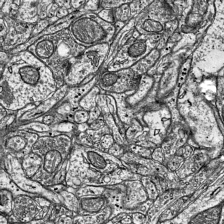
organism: Mouse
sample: Visual Cortex